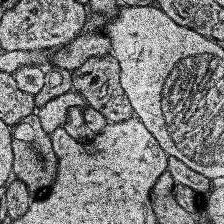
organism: Human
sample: Temporal Lobe